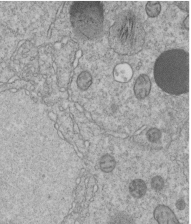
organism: C. elegans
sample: C. elegans embryo early stage